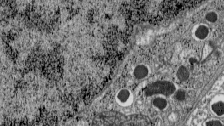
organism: C57BL Mouse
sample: Pancreatic islet